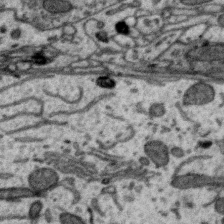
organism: Zebra finch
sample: Brain